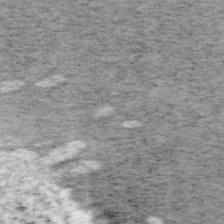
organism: Mouse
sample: OT-I killer T cells with ID8 ovarian cancer cells